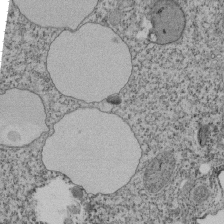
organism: Tetrahymena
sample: Cilia in tetrahymena